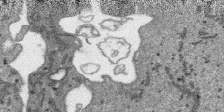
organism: Human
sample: Lung epithelial cells infected with SARS-CoV-2